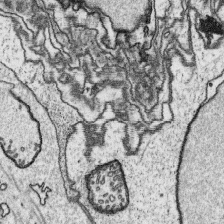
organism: Platynereis dumerilii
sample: Parapodia